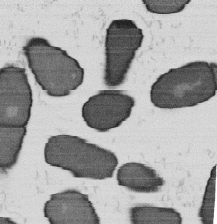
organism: B. subtilis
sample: Bacterial spore